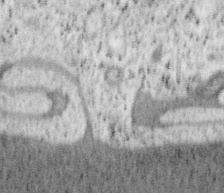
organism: Mouse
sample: OT-I killer T cells with ID8 ovarian cancer cells